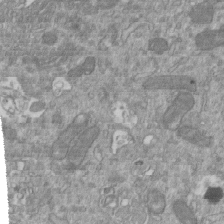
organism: Mouse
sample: ED-1 cell nuclei; centrioles